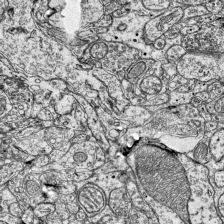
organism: Mouse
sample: Visual Cortex